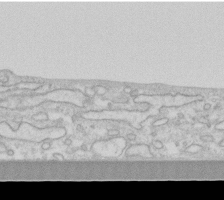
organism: Human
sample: Fibroblast cells